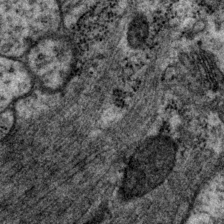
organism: P. pacificus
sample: Pharynx